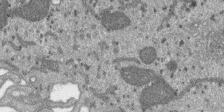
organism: Human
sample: Lung epithelial cells infected with SARS-CoV-2